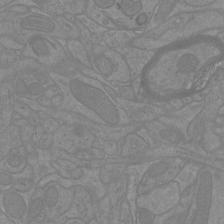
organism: Mouse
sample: Cortical neurons